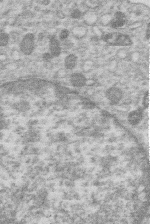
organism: Human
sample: Macrophage cells